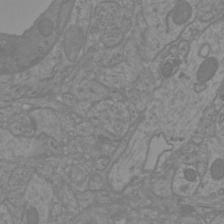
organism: Mouse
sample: Cortical neurons